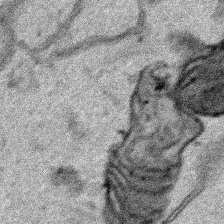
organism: Human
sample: Mitochondria in HCT116 cells